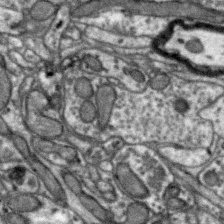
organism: Zebra finch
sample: Brain